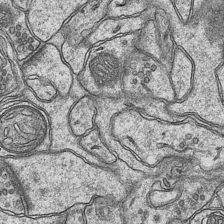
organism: Mouse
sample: CA1 Hippocampus